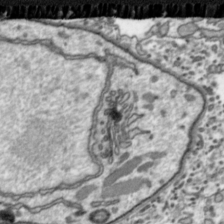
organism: Toxoplasma gondii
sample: Parasites in a vacuole inside a host cell